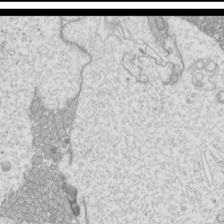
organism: Mouse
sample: Cilia; mouse epididymis